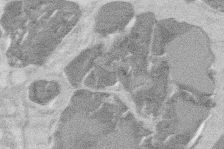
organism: Mouse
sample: T cell stromal cell synapse